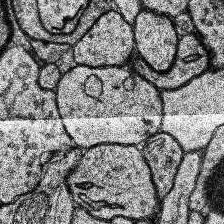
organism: Human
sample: Temporal Lobe